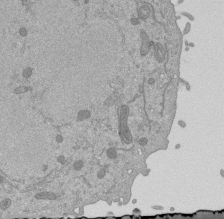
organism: Mouse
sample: ED-1 cell nuclei; centrioles